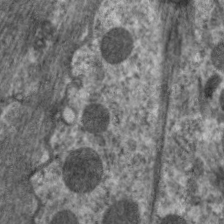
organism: C. elegans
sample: Pharynx